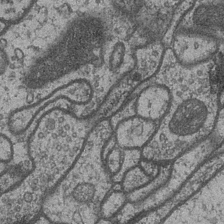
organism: Drosophila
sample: Optic medulla